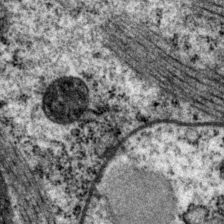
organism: P. pacificus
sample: Pharynx